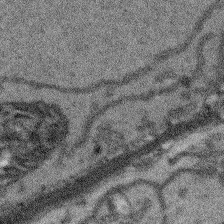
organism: Arabidopsis thaliana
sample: Root tip